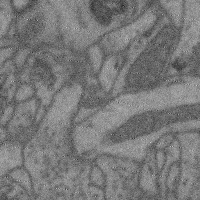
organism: Mouse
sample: Cerebral cortex